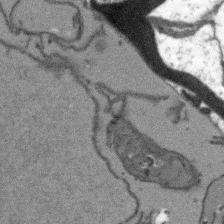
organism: Arabidopsis thaliana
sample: Root tip